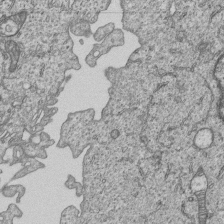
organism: Human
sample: MDA-MB-231 cells